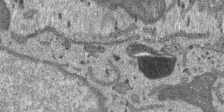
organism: Human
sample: Lung epithelial cells infected with SARS-CoV-2